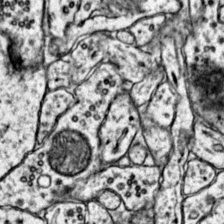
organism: Mouse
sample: Primary visual cortex